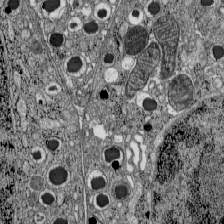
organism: C57BL Mouse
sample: Pancreatic islet